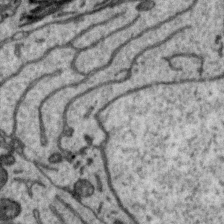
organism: Zebra finch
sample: Brain